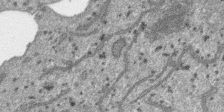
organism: Human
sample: Lung epithelial cells infected with SARS-CoV-2